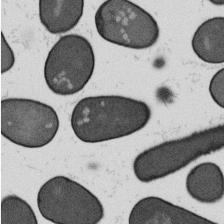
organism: B. subtilis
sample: Bacterial spore